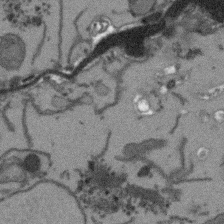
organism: Arabidopsis thaliana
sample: Root tip